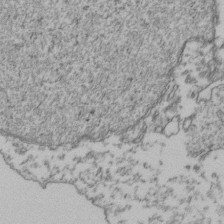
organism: Human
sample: Activated Jurkat CD4+ T cells